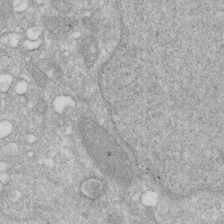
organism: Human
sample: HIV infected U937 cells